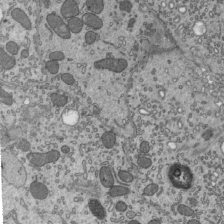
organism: Mouse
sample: Mouse epididymis efferent ductule cilia